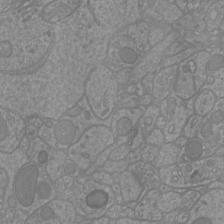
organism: Mouse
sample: Cortical neurons